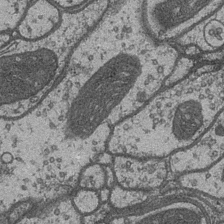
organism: Drosophila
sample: Optic medulla